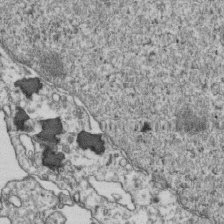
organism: Human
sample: Activated Jurkat CD4+ T cells